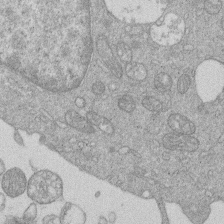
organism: Human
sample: Macrophage cells